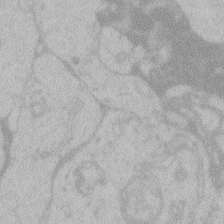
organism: Zebrafish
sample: Macrophage infected with Toxoplasma gondii